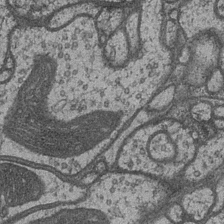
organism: Drosophila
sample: Optic medulla